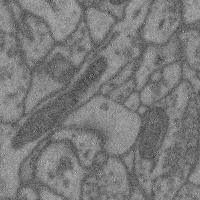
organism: Mouse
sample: Cerebral cortex